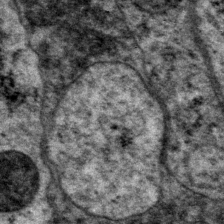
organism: P. pacificus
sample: Pharynx